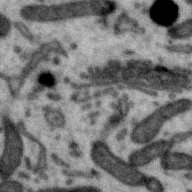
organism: Zebra finch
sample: Brain